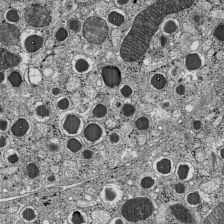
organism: C57BL Mouse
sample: Pancreatic islet